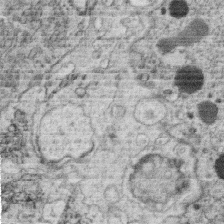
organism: C. elegans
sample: C. elegans oocyte; sperm cells